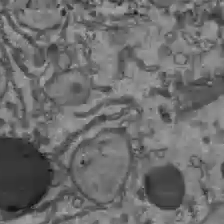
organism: C57BL Mouse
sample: Liver